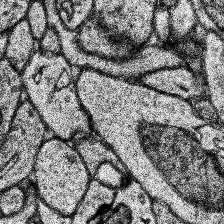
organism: Human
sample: Temporal Lobe